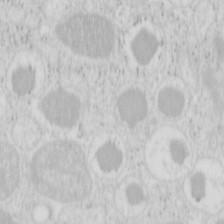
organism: Mouse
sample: Pancreas